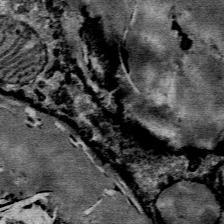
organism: Mouse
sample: Mouse Salivary gland